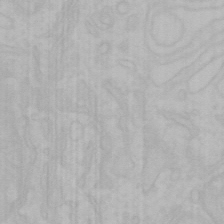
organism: Mouse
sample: Choroid plexus